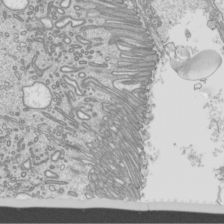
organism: Mouse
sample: Cilia; mouse epididymis